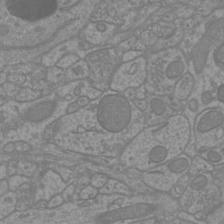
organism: Mouse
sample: Cortical neurons